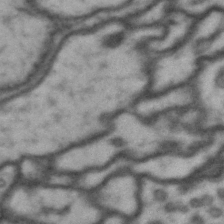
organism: Drosophila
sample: Brain